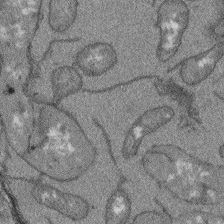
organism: Arabidopsis thaliana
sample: Root tip